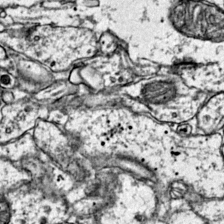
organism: Mouse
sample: Primary visual cortex